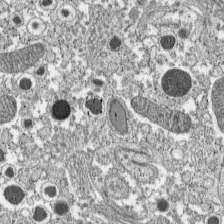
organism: C57BL Mouse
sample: Pancreatic islet